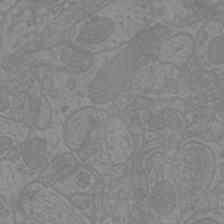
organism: Mouse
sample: Cortical neurons